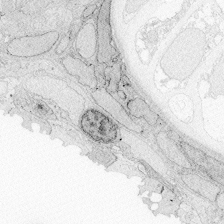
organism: Zebrafish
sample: Whole-Brain